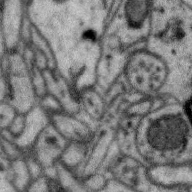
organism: Zebra finch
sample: Brain